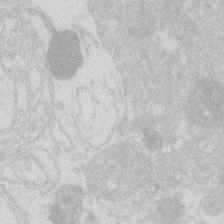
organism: Zebrafish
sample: Macrophage